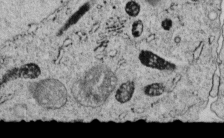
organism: C. elegans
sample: C. elegans embryo early stage